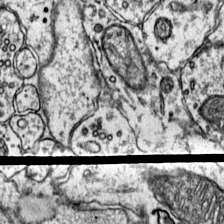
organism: Mouse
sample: Primary visual cortex